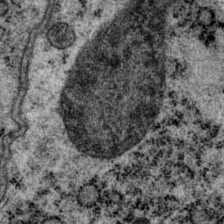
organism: P. pacificus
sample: Pharynx